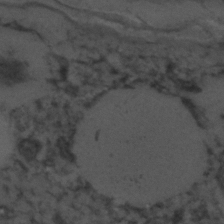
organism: C. elegans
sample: C. elegans embryo